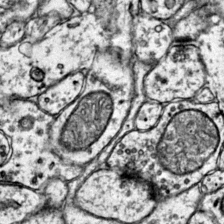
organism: Mouse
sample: Primary visual cortex